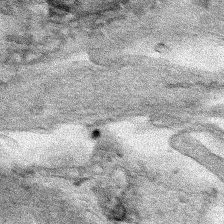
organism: Human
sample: Mitochondria in HCT116 cells